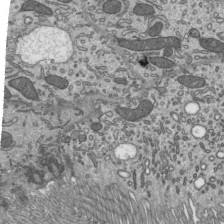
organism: Mouse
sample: Mouse epididymis efferent ductule cilia